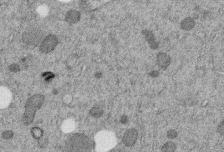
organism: C. elegans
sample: C. elegans embryo early stage